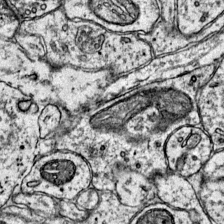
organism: Mouse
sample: Primary visual cortex